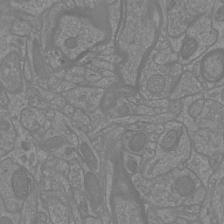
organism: Mouse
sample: Cortical neurons